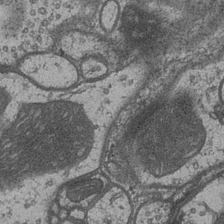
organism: Drosophila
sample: Optic medulla